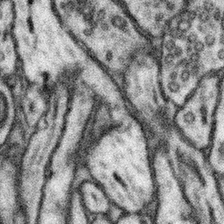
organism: Mouse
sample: Somatosensory cortex neuropil